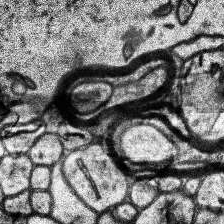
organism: Human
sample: Temporal Lobe